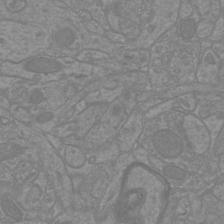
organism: Mouse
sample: Cortical neurons